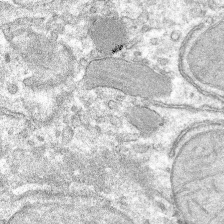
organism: Mouse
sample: Mouse hepatocytes